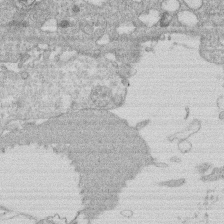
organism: Human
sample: Macrophage cells